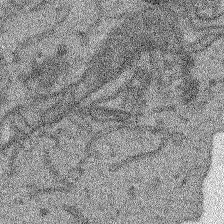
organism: Human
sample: HeLa cells